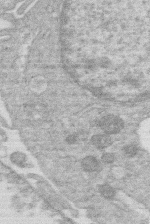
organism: Human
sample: Macrophage cells